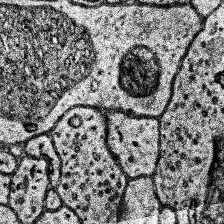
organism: Human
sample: Temporal Lobe